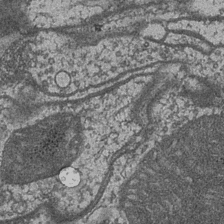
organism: Drosophila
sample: Optic medulla